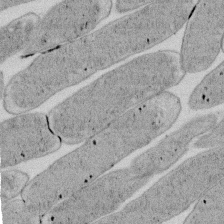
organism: E. coli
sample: Bacterial nucleoid